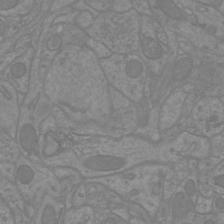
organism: Mouse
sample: Cortical neurons